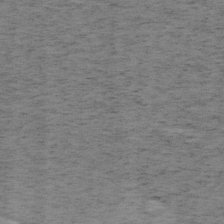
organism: Mouse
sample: OT-I killer T cells with ID8 ovarian cancer cells